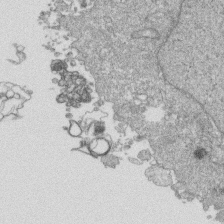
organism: Human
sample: HeLa cell HIV synapse